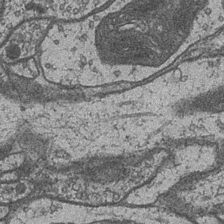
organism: Drosophila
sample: Optic medulla